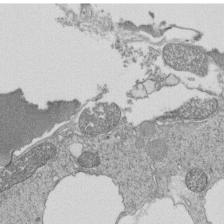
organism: Tetrahymena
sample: Cilia in tetrahymena